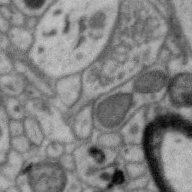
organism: Zebra finch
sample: Brain